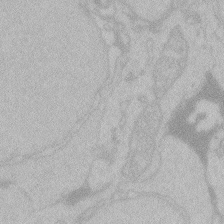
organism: Zebrafish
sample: Macrophage infected with Toxoplasma gondii